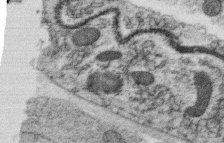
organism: C. elegans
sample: C. elegans oocyte; sperm cells